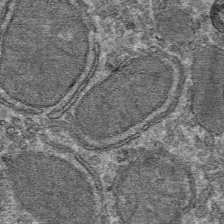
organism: Mouse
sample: Mouse hepatocytes